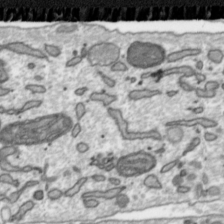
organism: Toxoplasma gondii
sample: Parasites in a vacuole inside a host cell